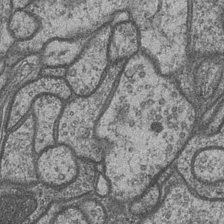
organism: Drosophila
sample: Optic medulla